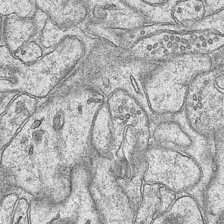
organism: Mouse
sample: CA1 Hippocampus